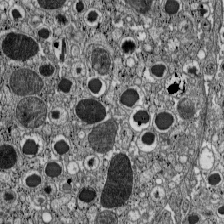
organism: C57BL Mouse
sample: Pancreatic islet